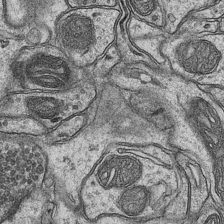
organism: Mouse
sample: CA1 Hippocampus